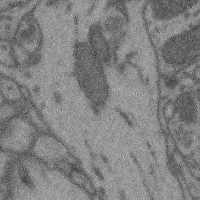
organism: Mouse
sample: Cerebral cortex